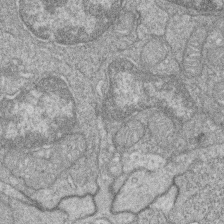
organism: Zebrafish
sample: Cilia; retinal pigment epithelium